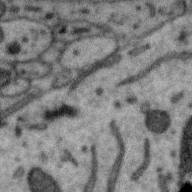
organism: Zebra finch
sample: Brain